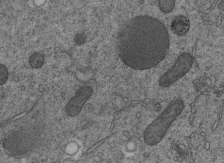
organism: C. elegans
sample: C. elegans embryo early stage